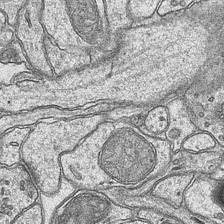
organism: Mouse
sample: CA1 Hippocampus